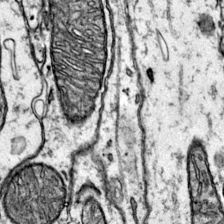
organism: Mouse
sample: Primary visual cortex